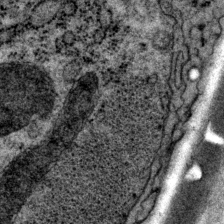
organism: P. pacificus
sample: Pharynx